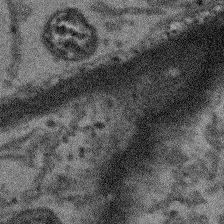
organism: Arabidopsis thaliana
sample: Root tip